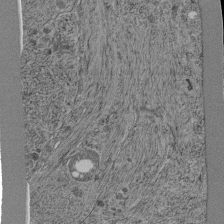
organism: C. elegans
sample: C. elegans pharynx